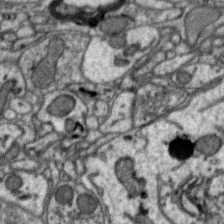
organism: Zebra finch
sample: Brain